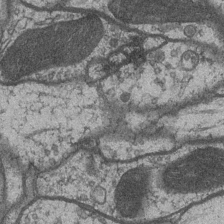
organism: Drosophila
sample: Optic medulla